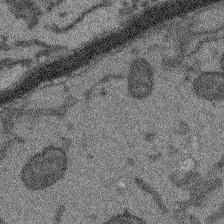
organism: Arabidopsis thaliana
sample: Root tip